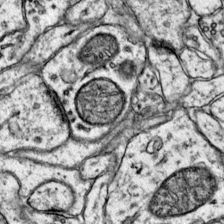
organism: Mouse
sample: Primary visual cortex